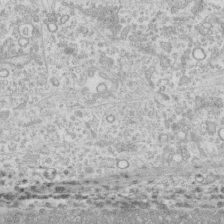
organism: Human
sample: CRL-1474